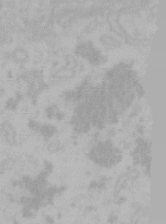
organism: Mouse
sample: Choroid plexus